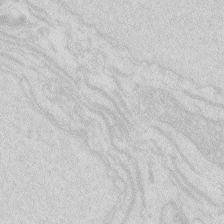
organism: Zebrafish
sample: Macrophage